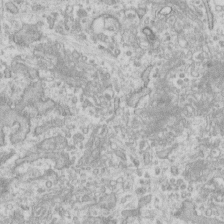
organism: Human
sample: Fibroblast cells